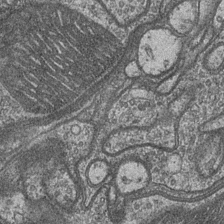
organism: Drosophila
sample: Optic medulla